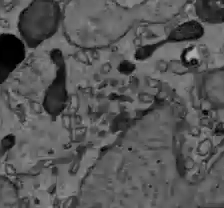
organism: C57BL Mouse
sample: Liver